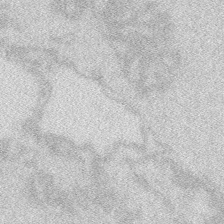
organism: Zebrafish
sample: Macrophage